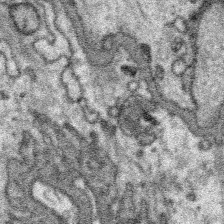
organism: Platynereis dumerilii